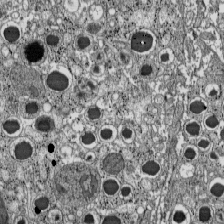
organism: C57BL Mouse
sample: Pancreatic islet